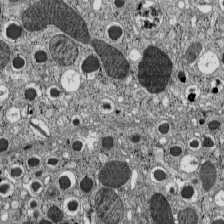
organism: C57BL Mouse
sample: Pancreatic islet